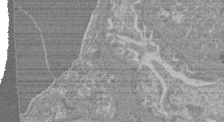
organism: Mouse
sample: Glomerulus